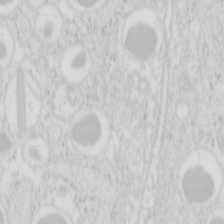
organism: Mouse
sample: Pancreas